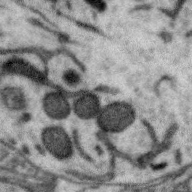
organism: Zebra finch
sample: Brain